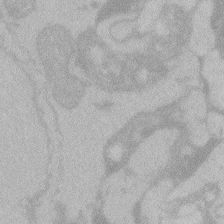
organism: Zebrafish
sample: Macrophage infected with Toxoplasma gondii